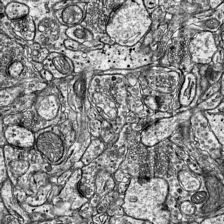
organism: Mouse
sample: Visual Cortex